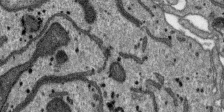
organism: Human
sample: Lung epithelial cells, uninfected (mock) control